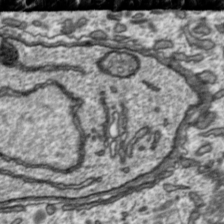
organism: Toxoplasma gondii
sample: Parasites in a vacuole inside a host cell